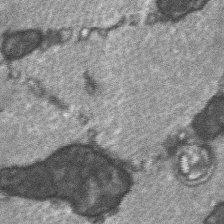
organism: C57BL Mouse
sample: Soleus